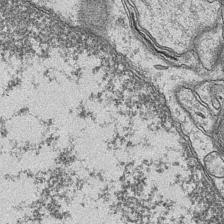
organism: Mouse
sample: CA1 Hippocampus